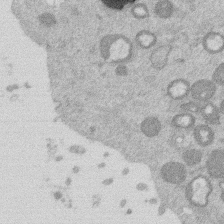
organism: Mouse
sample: Dividing mouse embryo 1 cell stage